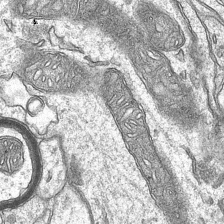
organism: Mouse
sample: CA1 Hippocampus